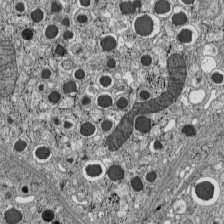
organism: C57BL Mouse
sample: Pancreatic islet